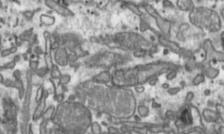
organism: Toxoplasma gondii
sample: Parasites in a vacuole inside a host cell